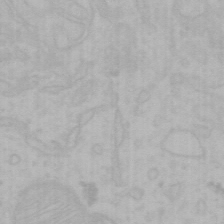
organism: Mouse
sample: Choroid plexus